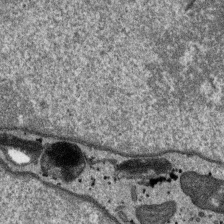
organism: Human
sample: Lung epithelial cells, uninfected (mock) control